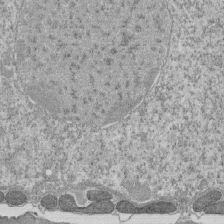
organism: Tetrahymena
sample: Cilia in tetrahymena